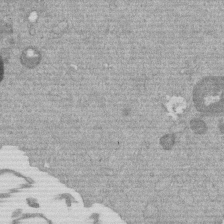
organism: Mouse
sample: Dividing mouse embryo 1 cell stage